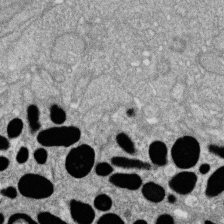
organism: Zebrafish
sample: Cilia; retinal pigment epithelium